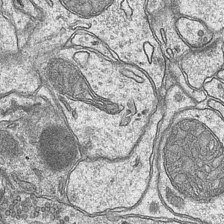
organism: Mouse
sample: CA1 Hippocampus